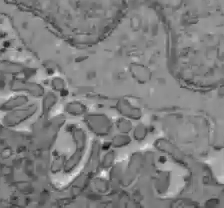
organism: C57BL Mouse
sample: Liver